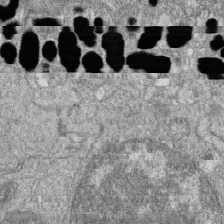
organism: Zebrafish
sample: Cilia; retinal pigment epithelium